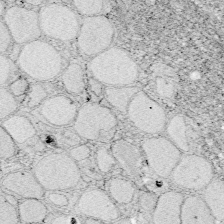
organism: Zebrafish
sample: Whole-Brain